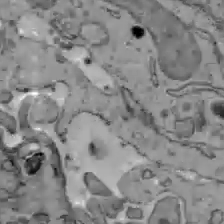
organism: C57BL Mouse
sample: Liver